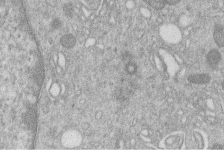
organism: Human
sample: Macrophage cells